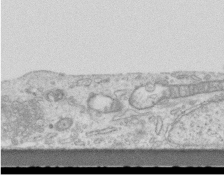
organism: Mouse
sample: Centriole in ependymal cells